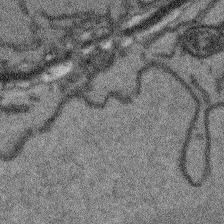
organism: Arabidopsis thaliana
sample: Root tip